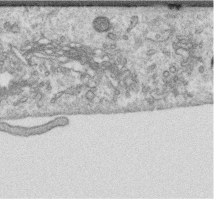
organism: Human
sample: Centriole in RPE cells